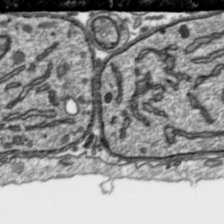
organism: Toxoplasma gondii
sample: Parasites in a vacuole inside a host cell